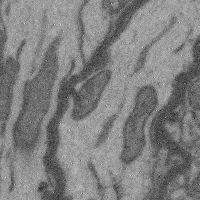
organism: Mouse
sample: Cerebral cortex